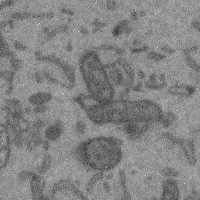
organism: Mouse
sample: Cerebral cortex